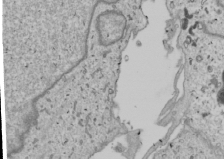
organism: Human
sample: Mitochondria in U2OS cells